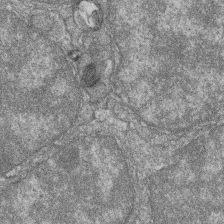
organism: Zebrafish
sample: Cilia; retinal pigment epithelium